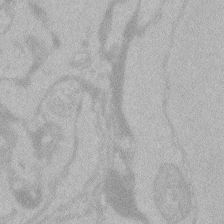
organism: Zebrafish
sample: Macrophage infected with Toxoplasma gondii